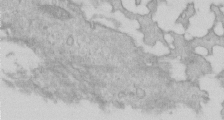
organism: Human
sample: Centriole in RPE cells